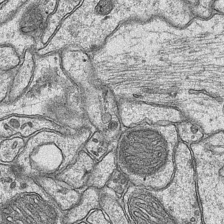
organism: Mouse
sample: CA1 Hippocampus